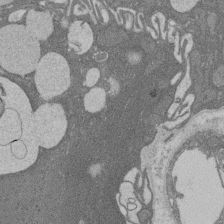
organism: Rat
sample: Salivary granule